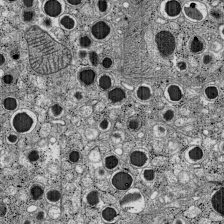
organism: C57BL Mouse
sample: Pancreatic islet